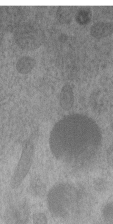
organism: C. elegans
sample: C. elegans embryo early stage